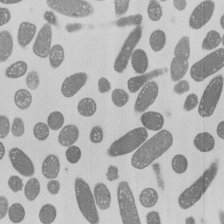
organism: E. coli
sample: Bacterial nucleoid